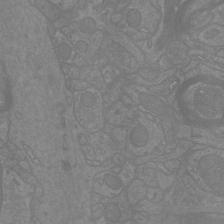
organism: Mouse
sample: Cortical neurons